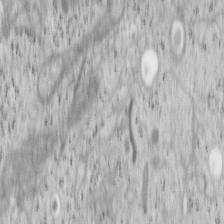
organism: Human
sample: HeLa cells